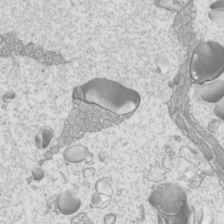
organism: Mouse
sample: Cilia; mouse epididymis